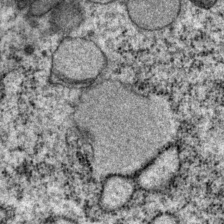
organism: P. pacificus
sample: Pharynx